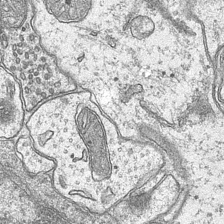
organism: Mouse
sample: CA1 Hippocampus